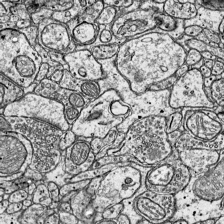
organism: Mouse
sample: Visual Cortex